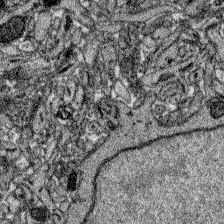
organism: Zebrafish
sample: Larval olfactory bulb